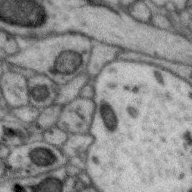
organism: Zebra finch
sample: Brain